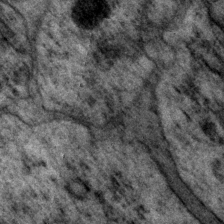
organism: P. pacificus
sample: Pharynx